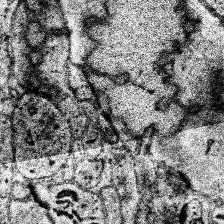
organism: Human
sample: Temporal Lobe